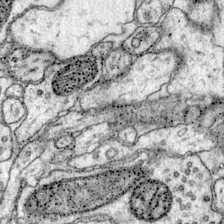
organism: Mouse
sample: Primary visual cortex